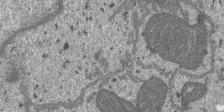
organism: Human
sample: Lung epithelial cells infected with SARS-CoV-2